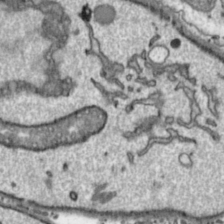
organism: Toxoplasma gondii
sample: Parasites in a vacuole inside a host cell